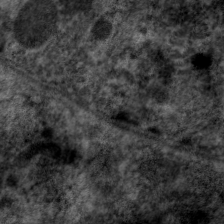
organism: C. elegans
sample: Pharynx